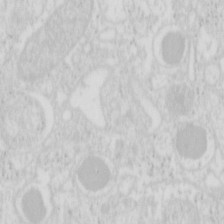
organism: Mouse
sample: Pancreas